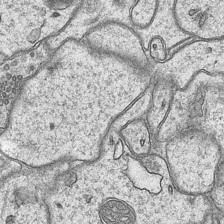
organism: Mouse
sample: CA1 Hippocampus